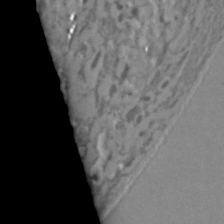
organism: C. elegans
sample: C. elegans embryo